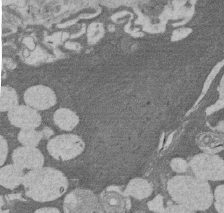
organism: Rat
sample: Salivary granule